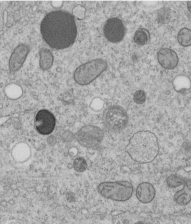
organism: C. elegans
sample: C. elegans embryo early stage